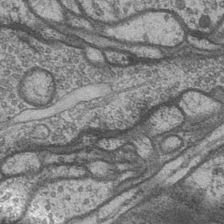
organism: Drosophila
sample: Optic medulla